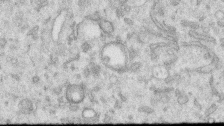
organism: Human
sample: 1205lu cells